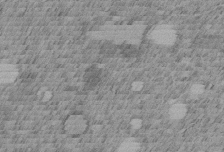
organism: C. elegans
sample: C. elegans embryo early stage